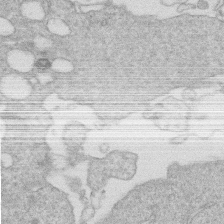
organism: Human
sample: Macrophage cells